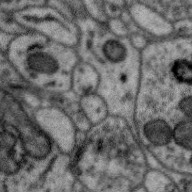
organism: Zebra finch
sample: Brain